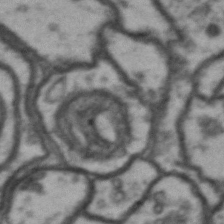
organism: Drosophila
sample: Brain